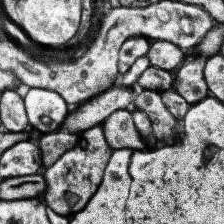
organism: Human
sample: Temporal Lobe